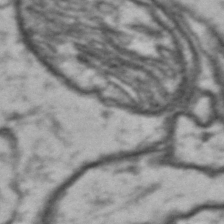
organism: Drosophila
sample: Brain